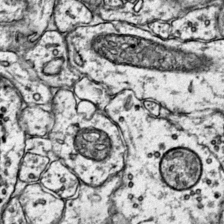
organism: Mouse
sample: Primary visual cortex